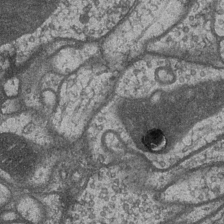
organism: Drosophila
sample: Optic medulla